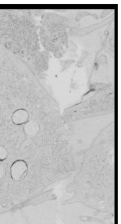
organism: Human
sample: Mitochondria in HCT116 cells